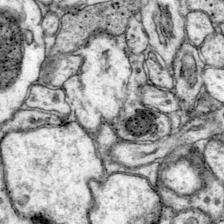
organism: Mouse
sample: Primary visual cortex